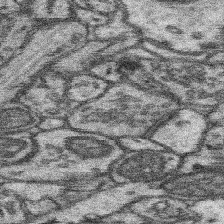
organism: Mouse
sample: Somatosensory cortex neuropil